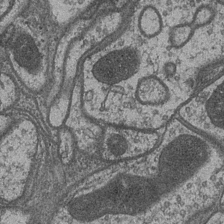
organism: Drosophila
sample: Optic medulla